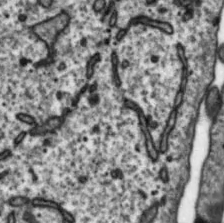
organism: Human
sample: HeLa cells